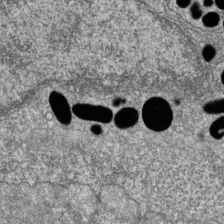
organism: Zebrafish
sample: Cilia; retinal pigment epithelium